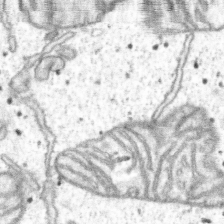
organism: Human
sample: HeLa cells